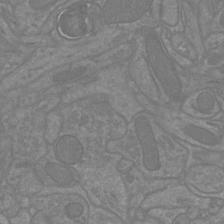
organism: Mouse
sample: Cortical neurons